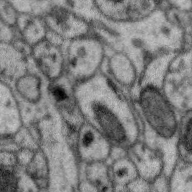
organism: Zebra finch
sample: Brain